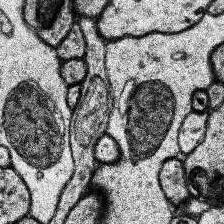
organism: Human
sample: Temporal Lobe